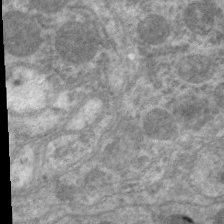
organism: C. elegans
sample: Pharynx